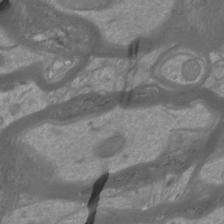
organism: Mouse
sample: Cortical neurons